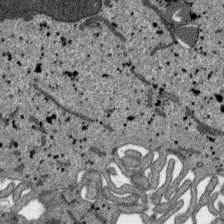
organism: Human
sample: Lung epithelial cells, uninfected (mock) control